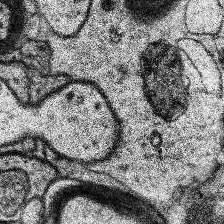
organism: Human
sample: Temporal Lobe